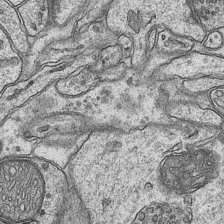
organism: Mouse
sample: CA1 Hippocampus